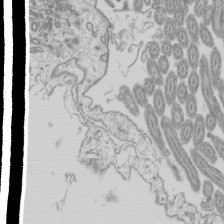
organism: Mouse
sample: Cilia; mouse epididymis